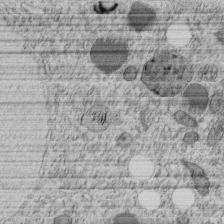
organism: C. elegans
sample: C. elegans embryo early stage